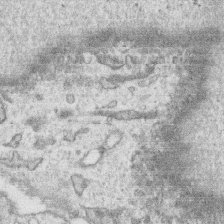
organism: Human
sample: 1205lu cells